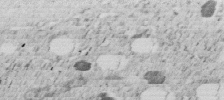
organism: C. elegans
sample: C. elegans embryo early stage